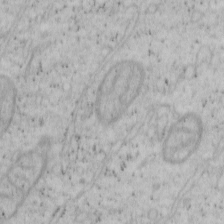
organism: Human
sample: HeLa cells